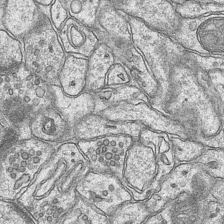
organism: Mouse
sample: CA1 Hippocampus